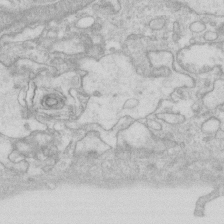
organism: Human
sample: Fibroblast cells